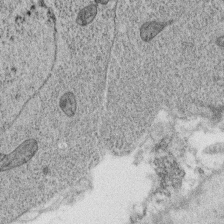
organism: C. elegans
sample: C. elegans oocyte; sperm cells